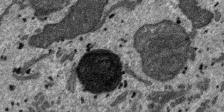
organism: Human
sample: Lung epithelial cells, uninfected (mock) control